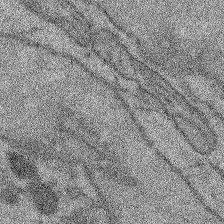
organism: Human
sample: HeLa cells